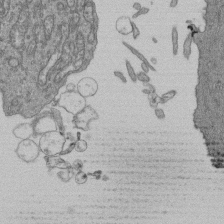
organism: Human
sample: Retinal organoid Rod and Cone cells